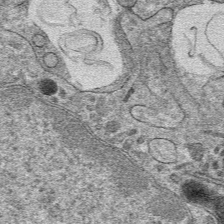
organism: Mouse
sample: Mouse hepatocytes